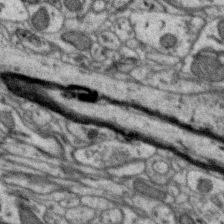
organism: Zebra finch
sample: Brain